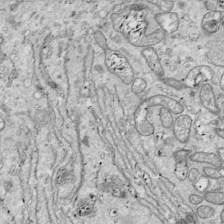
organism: Drosophila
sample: Cell division; meiosis; drosophila spermatocytes